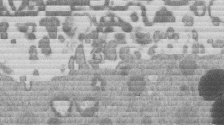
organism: Mouse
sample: Dividing mouse embryo 1 cell stage